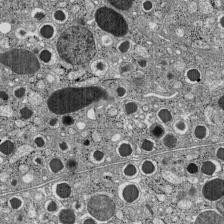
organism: C57BL Mouse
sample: Pancreatic islet